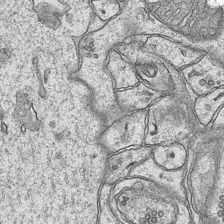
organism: Mouse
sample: CA1 Hippocampus